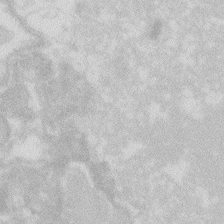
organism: Zebrafish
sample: Macrophage